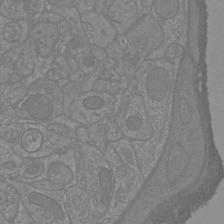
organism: Mouse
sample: Cortical neurons